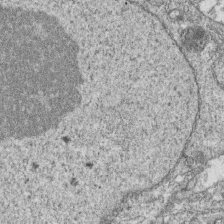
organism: Human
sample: HeLa cell HIV synapse